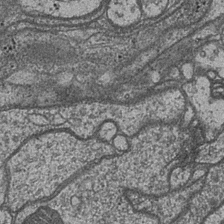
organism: Drosophila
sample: Optic medulla